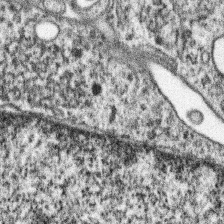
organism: Human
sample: HeLa cells